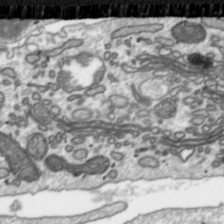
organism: Toxoplasma gondii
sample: Parasites in a vacuole inside a host cell